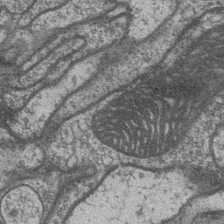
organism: Drosophila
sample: Optic medulla